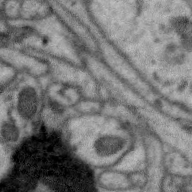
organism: Zebra finch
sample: Brain